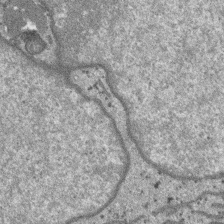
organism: Human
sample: Lung epithelial cells infected with SARS-CoV-2